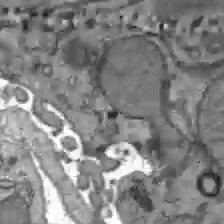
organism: C57BL Mouse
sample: Liver